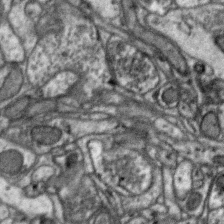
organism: Zebra finch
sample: Brain